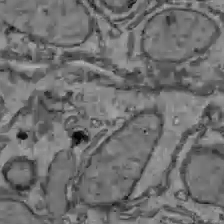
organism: C57BL Mouse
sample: Liver